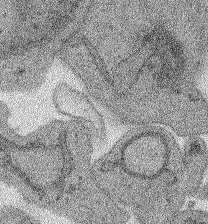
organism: Human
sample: HeLa cells